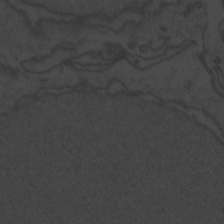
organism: Zebrafish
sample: Macrophage infected with Toxoplasma gondii